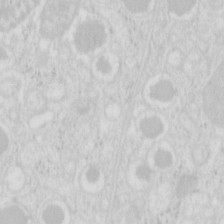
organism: Mouse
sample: Pancreas